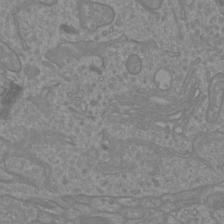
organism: Mouse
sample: Cortical neurons